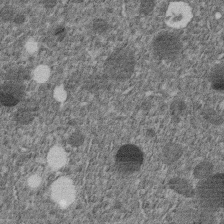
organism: C. elegans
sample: C. elegans embryo early stage